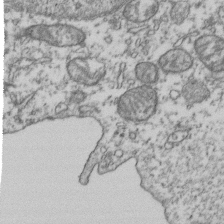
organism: Human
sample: Activated Jurkat CD4+ T cells